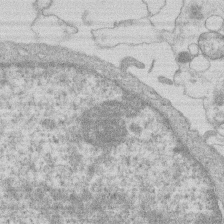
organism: Human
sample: Macrophage cells